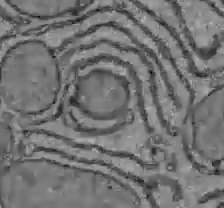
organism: C57BL Mouse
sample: Liver